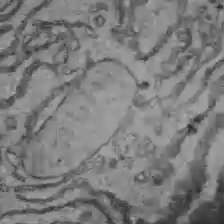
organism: C57BL Mouse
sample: Liver